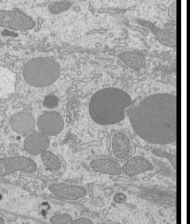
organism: Mouse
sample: Cilia; mouse epididymis